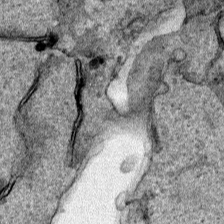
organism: Human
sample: Mitochondria in HCT116 cells